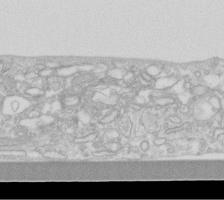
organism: Human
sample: Fibroblast cells